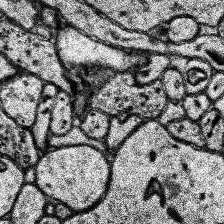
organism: Human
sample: Temporal Lobe